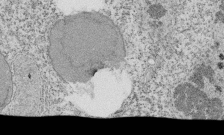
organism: Tetrahymena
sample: Cilia in tetrahymena